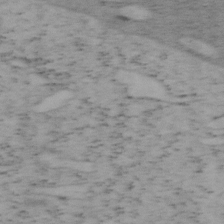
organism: Mouse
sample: OT-I killer T cells with ID8 ovarian cancer cells